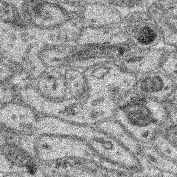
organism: Mouse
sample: Retina